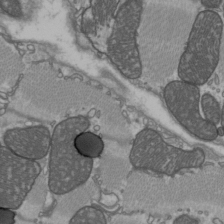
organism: C57BL Mouse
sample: Heart